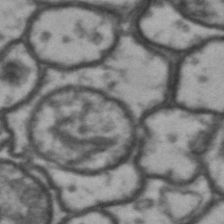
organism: Drosophila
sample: Brain